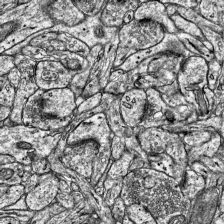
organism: Mouse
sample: Visual Cortex